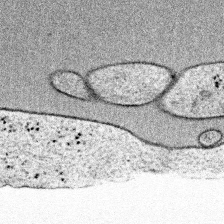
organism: Human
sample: HeLa cells